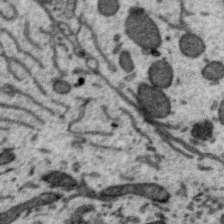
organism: Zebra finch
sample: Brain